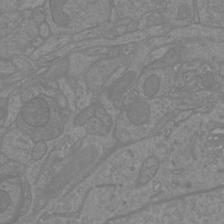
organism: Mouse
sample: Cortical neurons